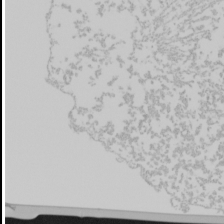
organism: Mouse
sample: Cancer cell death in ED-1 cells